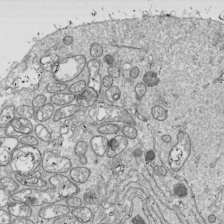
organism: Drosophila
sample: Cell division; meiosis; drosophila spermatocytes